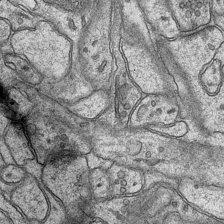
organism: Mouse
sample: CA1 Hippocampus